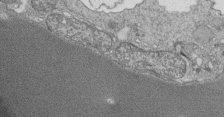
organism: Tetrahymena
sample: Cilia in tetrahymena